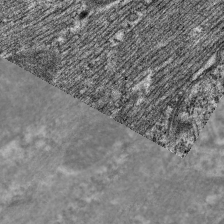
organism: C. elegans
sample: Pharynx